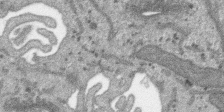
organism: Human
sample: Lung epithelial cells infected with SARS-CoV-2